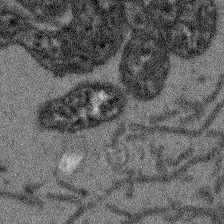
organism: Arabidopsis thaliana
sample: Root tip